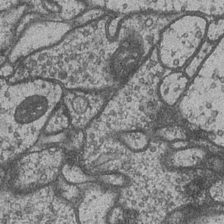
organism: Drosophila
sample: Optic medulla